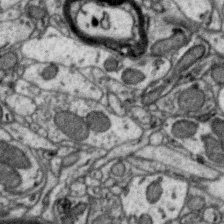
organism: Zebra finch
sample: Brain